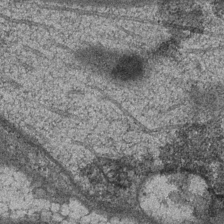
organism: Drosophila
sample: Optic medulla